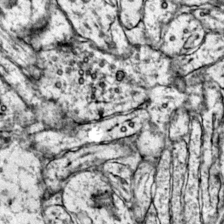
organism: Mouse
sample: Primary visual cortex